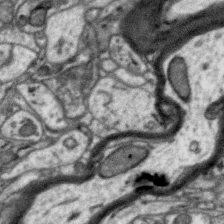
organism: Zebra finch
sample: Brain